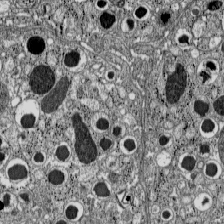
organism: C57BL Mouse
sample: Pancreatic islet